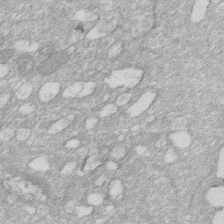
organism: Human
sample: HIV infected U937 cells